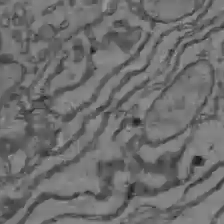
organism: C57BL Mouse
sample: Liver